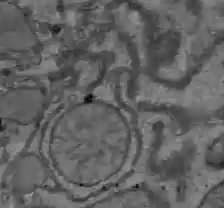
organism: C57BL Mouse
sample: Liver